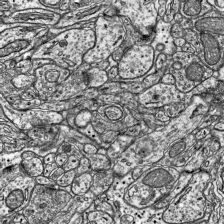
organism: Mouse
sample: Visual Cortex